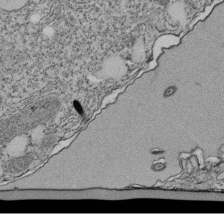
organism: Tetrahymena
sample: Cilia in tetrahymena